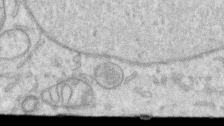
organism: Human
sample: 1205lu cells